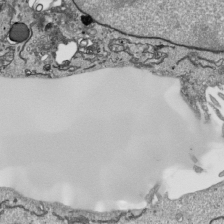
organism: Human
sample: Mitochondria in HCT116 cells